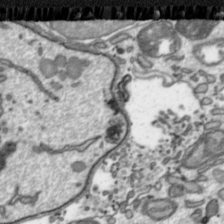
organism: Toxoplasma gondii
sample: Parasites in a vacuole inside a host cell